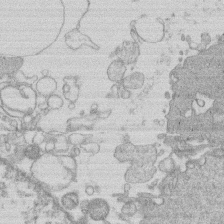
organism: Human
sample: Macrophage cells